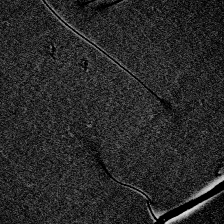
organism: Zebrafish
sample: Whole-Brain